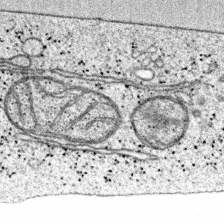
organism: Human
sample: HeLa cells